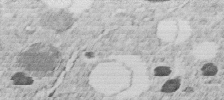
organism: C. elegans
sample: C. elegans embryo early stage